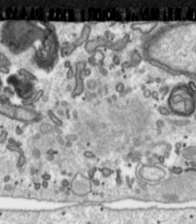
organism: Toxoplasma gondii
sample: Parasites in a vacuole inside a host cell